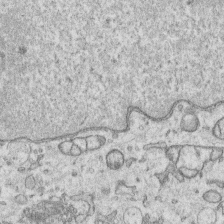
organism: Human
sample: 1205lu cells